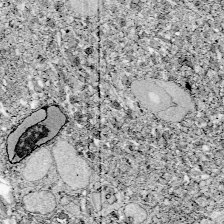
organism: Zebrafish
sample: Whole-Brain